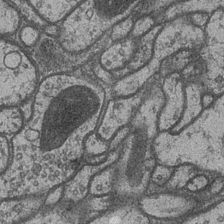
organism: Drosophila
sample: Optic medulla